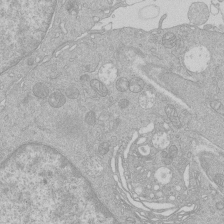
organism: Human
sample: Macrophage cells